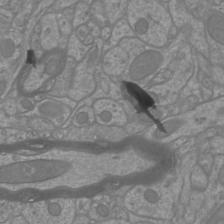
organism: Mouse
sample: Cortical neurons